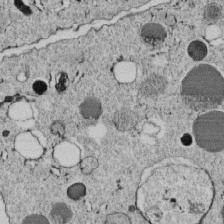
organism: C. elegans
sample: C. elegans embryo early stage